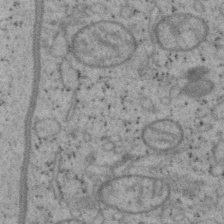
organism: Human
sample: HeLa cells